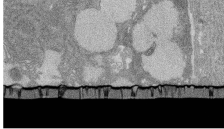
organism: Rat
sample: Salivary granule